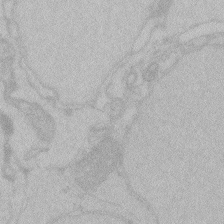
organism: Zebrafish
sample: Macrophage infected with Toxoplasma gondii